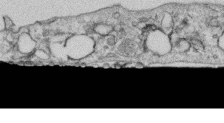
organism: Human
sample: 1205lu cells